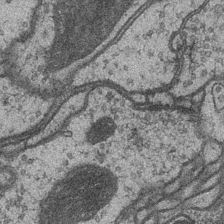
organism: Drosophila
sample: Optic medulla